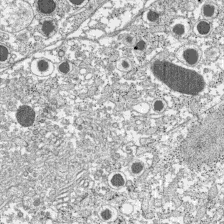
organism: C57BL Mouse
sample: Pancreatic islet